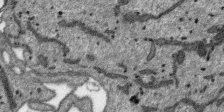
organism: Human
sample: Lung epithelial cells, uninfected (mock) control